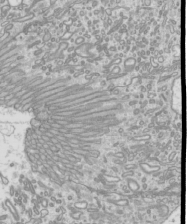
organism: Mouse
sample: Cilia; mouse epididymis